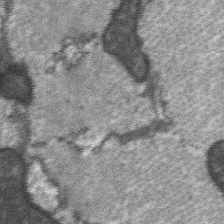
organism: C57BL Mouse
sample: Soleus